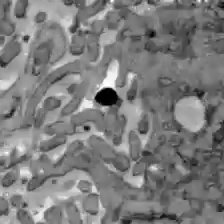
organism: C57BL Mouse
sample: Liver